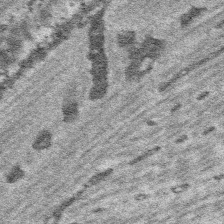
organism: Platynereis dumerilii